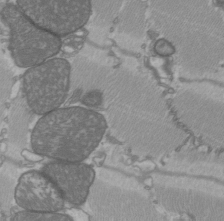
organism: C57BL Mouse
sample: Heart